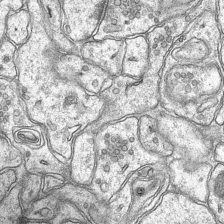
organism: Mouse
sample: CA1 Hippocampus